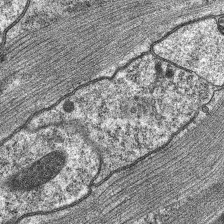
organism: C. elegans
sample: Pharynx